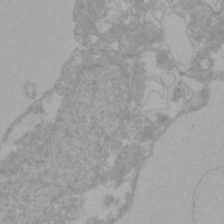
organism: Zebrafish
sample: Zebrafish embryo